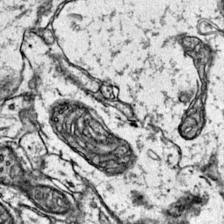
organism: Mouse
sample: Primary visual cortex